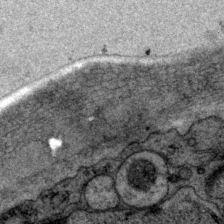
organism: P. pacificus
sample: Pharynx